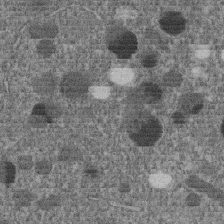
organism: C. elegans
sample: C. elegans embryo early stage